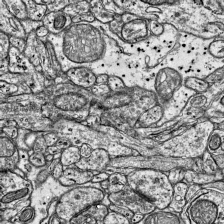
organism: Mouse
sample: Visual Cortex